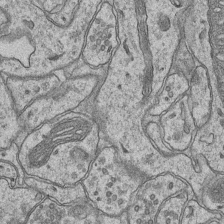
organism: Mouse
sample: CA1 Hippocampus